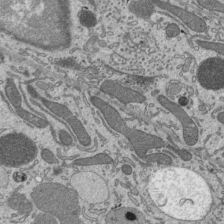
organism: Mouse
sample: Mouse epididymis efferent ductule cilia